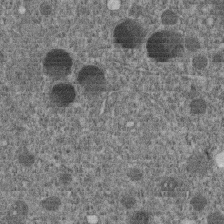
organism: C. elegans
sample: C. elegans embryo early stage